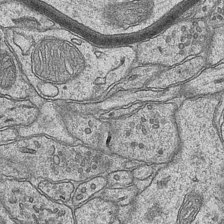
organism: Mouse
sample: CA1 Hippocampus